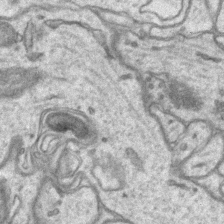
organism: Mouse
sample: CA1 Hippocampus